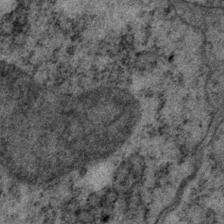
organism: P. pacificus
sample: Pharynx